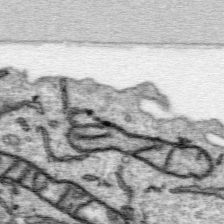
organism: Human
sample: HeLa cells